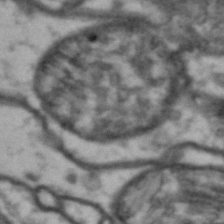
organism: Drosophila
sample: Brain